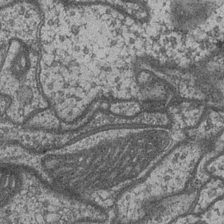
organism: Drosophila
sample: Optic medulla